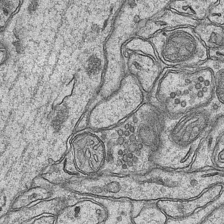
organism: Mouse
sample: CA1 Hippocampus